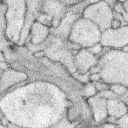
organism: Rabbit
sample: Retina